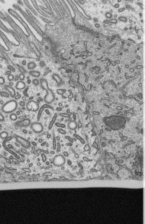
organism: Mouse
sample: Mouse epididymis efferent ductule cilia